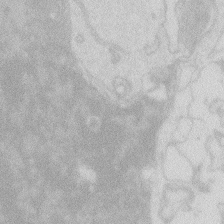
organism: Zebrafish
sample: Macrophage